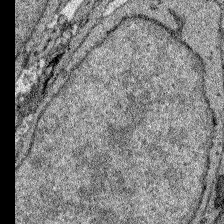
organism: Zebrafish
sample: Larval olfactory bulb